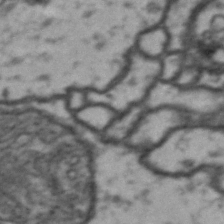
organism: Drosophila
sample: Brain